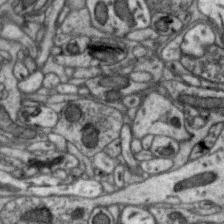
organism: Zebra finch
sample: Brain